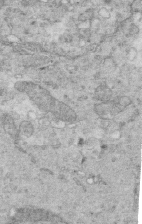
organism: Mouse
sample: Multiciliated cells